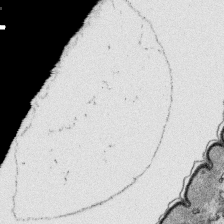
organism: Platynereis dumerilii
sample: Parapodia